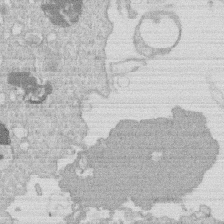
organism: Human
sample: Macrophage cells